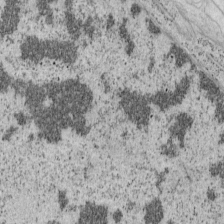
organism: Mouse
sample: OT-I killer T cells with ID8 ovarian cancer cells